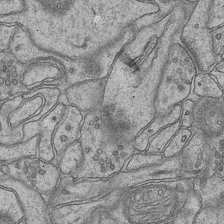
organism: Mouse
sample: CA1 Hippocampus